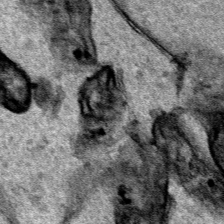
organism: Human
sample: Mitochondria in HCT116 cells